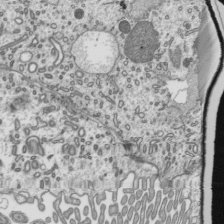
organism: Mouse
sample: Mouse epididymis efferent ductule cilia